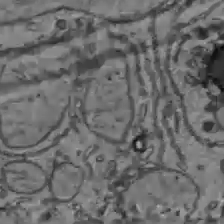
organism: C57BL Mouse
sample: Liver